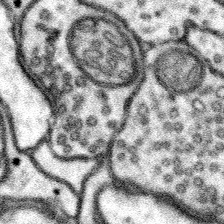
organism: Mouse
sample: Somatosensory cortex neuropil